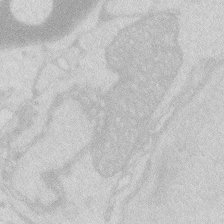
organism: Zebrafish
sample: Macrophage